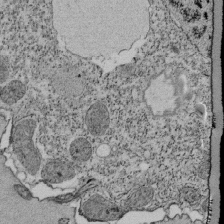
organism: Tetrahymena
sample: Cilia in tetrahymena